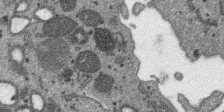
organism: Human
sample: Lung epithelial cells infected with SARS-CoV-2